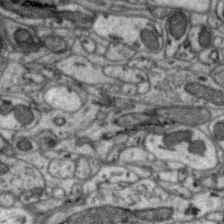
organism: Zebra finch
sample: Brain